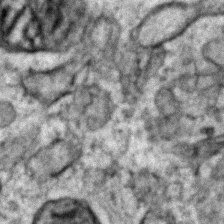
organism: Zebrafish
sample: Zebrafish embryo